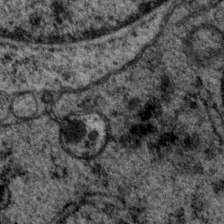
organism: P. pacificus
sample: Pharynx